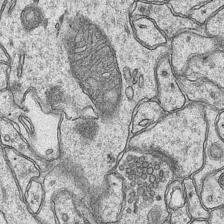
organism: Mouse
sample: CA1 Hippocampus